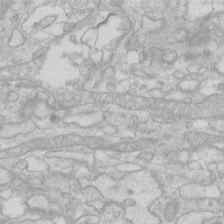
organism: Human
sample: Fibroblast cells